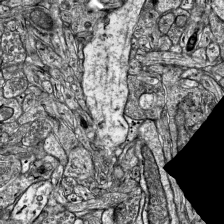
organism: Mouse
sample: Visual Cortex